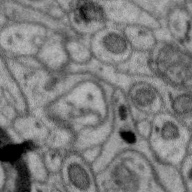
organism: Zebra finch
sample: Brain